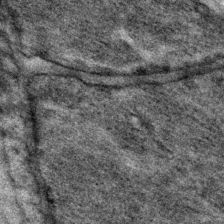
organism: P. pacificus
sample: Pharynx